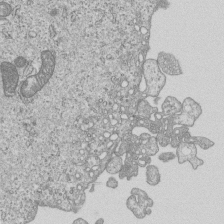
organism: Human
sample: MDA-MB-231 cells